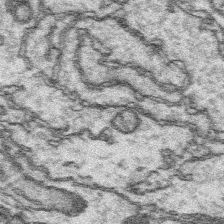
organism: Platynereis dumerilii